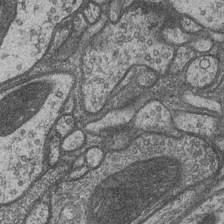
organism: Drosophila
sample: Optic medulla